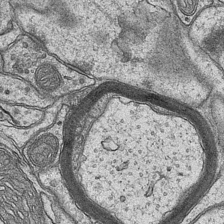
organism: Mouse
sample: CA1 Hippocampus